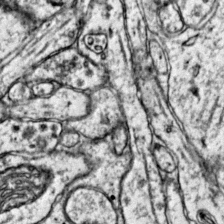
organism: Mouse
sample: Primary visual cortex